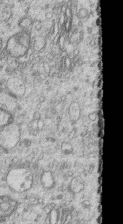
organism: Human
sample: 1205lu cells